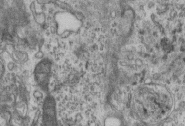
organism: Mouse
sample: Centriole in ependymal cells